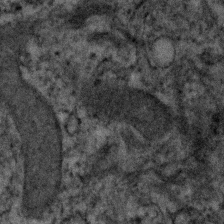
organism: Human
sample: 1205lu cells